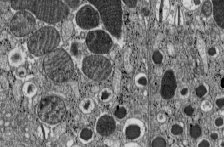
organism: C57BL Mouse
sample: Pancreatic islet